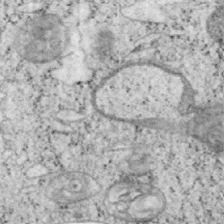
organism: Mouse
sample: OT-I killer T cells with ID8 ovarian cancer cells